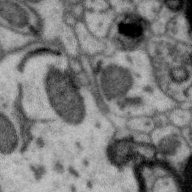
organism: Zebra finch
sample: Brain